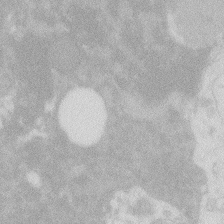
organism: Zebrafish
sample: Macrophage